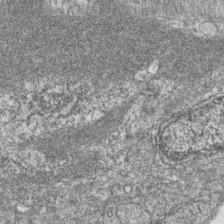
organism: Zebrafish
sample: Cilia; retinal pigment epithelium